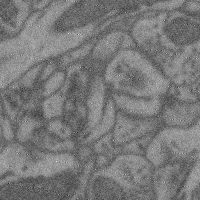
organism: Mouse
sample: Cerebral cortex